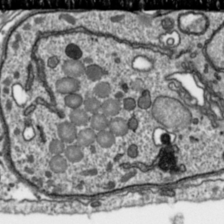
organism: Toxoplasma gondii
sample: Parasites in a vacuole inside a host cell